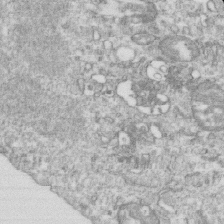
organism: Mouse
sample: Activated OT-1 CD8+ T cells